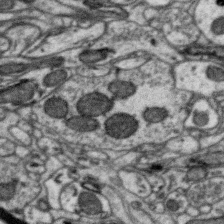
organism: Zebra finch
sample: Brain